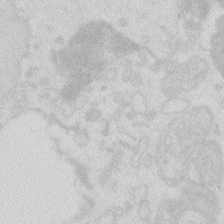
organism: Zebrafish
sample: Macrophage